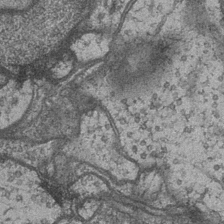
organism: Drosophila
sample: Optic medulla